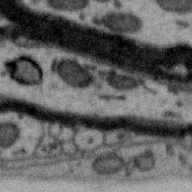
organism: Zebra finch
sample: Brain